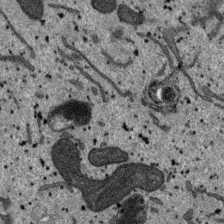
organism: Human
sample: Lung epithelial cells, uninfected (mock) control